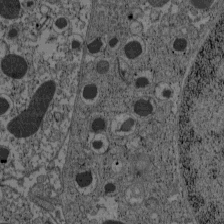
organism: C57BL Mouse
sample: Pancreatic islet